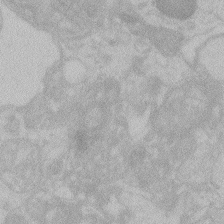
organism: Zebrafish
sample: Macrophage infected with Toxoplasma gondii